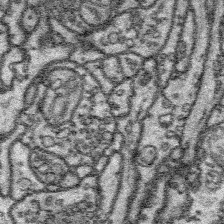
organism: Platynereis dumerilii